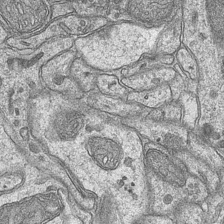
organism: Mouse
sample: CA1 Hippocampus